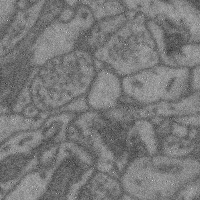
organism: Mouse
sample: Cerebral cortex